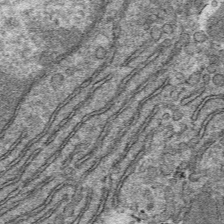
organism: Mouse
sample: Mouse hepatocytes